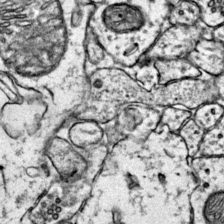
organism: Mouse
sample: Primary visual cortex